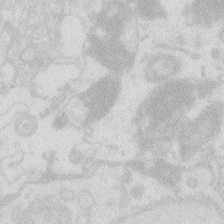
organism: Zebrafish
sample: Macrophage